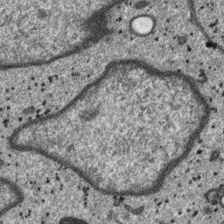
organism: Human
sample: Lung epithelial cells infected with SARS-CoV-2